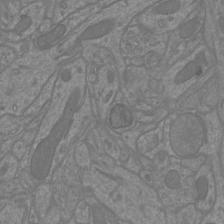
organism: Mouse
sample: Cortical neurons